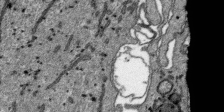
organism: Human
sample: Lung epithelial cells, uninfected (mock) control